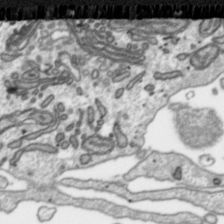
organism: Toxoplasma gondii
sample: Parasites in a vacuole inside a host cell